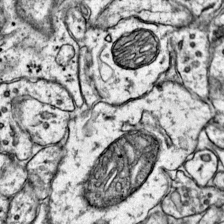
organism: Mouse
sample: Primary visual cortex